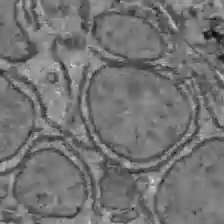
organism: C57BL Mouse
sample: Liver